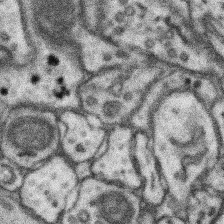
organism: Mouse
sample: Somatosensory cortex neuropil